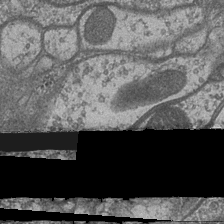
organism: Drosophila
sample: Optic medulla